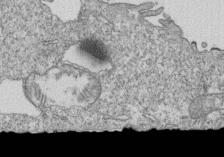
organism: Human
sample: HeLa cell HIV synapse